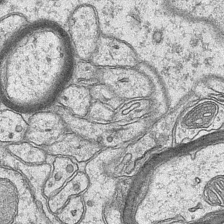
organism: Mouse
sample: CA1 Hippocampus